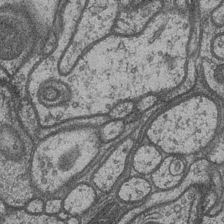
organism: Drosophila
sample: Optic medulla